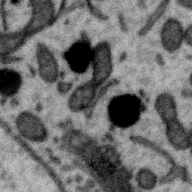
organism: Zebra finch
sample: Brain